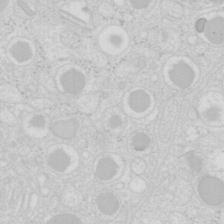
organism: Mouse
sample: Pancreas